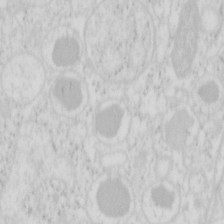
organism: Mouse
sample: Pancreas